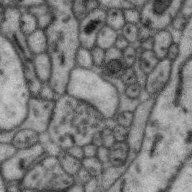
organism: Zebra finch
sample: Brain